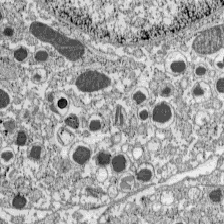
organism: C57BL Mouse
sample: Pancreatic islet